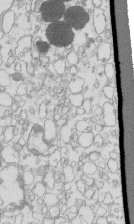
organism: Mouse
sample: Macrophages